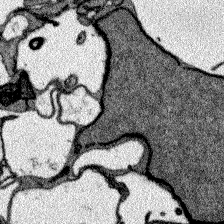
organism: Zebrafish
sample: Larval olfactory bulb